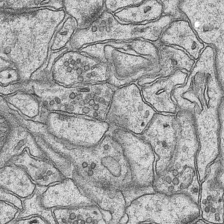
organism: Mouse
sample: CA1 Hippocampus